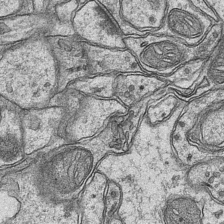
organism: Mouse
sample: CA1 Hippocampus